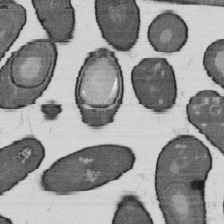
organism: B. subtilis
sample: Bacterial spore